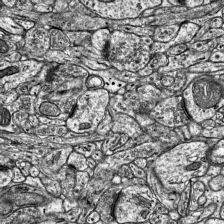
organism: Mouse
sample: Visual Cortex